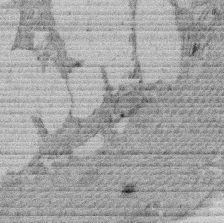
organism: Rat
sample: Salivary granule